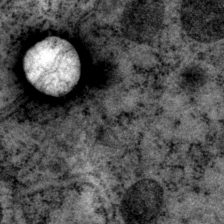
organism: P. pacificus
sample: Pharynx